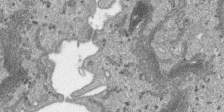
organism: Human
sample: Lung epithelial cells infected with SARS-CoV-2